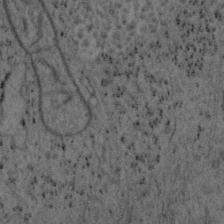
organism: Human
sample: HeLa cells